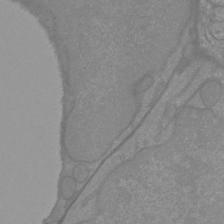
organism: Mouse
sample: Cortical neurons